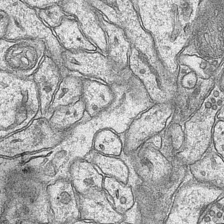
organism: Mouse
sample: CA1 Hippocampus